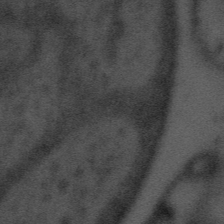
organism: Tuwongella immobilis